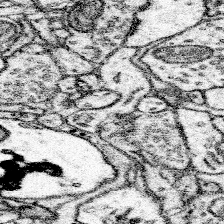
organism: Mouse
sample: Somatosensory cortex neuropil